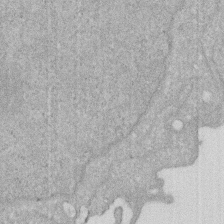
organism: Human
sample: HIV infected U937 cells